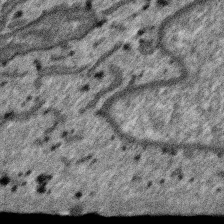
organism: Human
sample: Lung epithelial cells infected with SARS-CoV-2